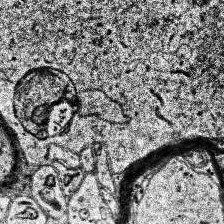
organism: Human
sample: Temporal Lobe